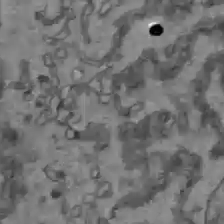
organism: C57BL Mouse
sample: Liver